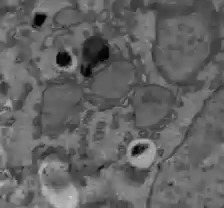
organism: C57BL Mouse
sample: Liver